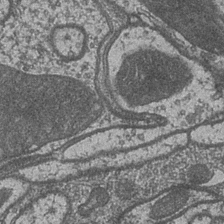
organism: Drosophila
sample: Optic medulla